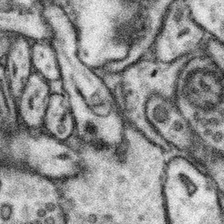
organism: Mouse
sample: Somatosensory cortex neuropil